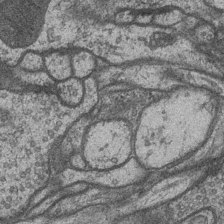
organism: Drosophila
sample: Optic medulla